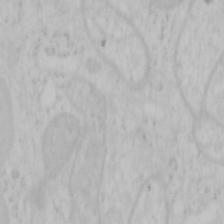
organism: Mouse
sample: OT-I killer T cells with ID8 ovarian cancer cells